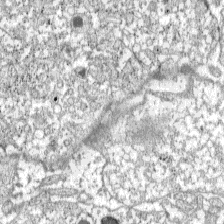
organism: C57BL Mouse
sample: Pancreatic islet